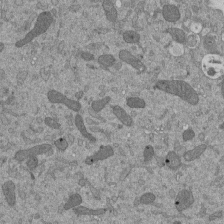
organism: Mouse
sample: ED-1 cell nuclei; centrioles